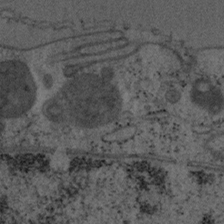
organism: Human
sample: HeLa cells